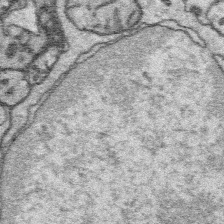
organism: Platynereis dumerilii